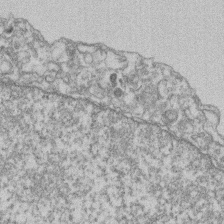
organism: Mouse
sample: T cell stromal cell synapse